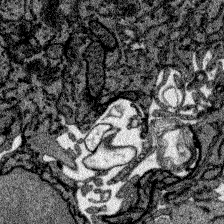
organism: Zebrafish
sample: Larval olfactory bulb